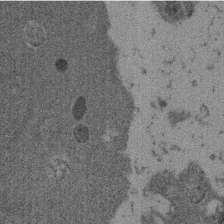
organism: Mouse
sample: Dividing mouse embryo 1 cell stage